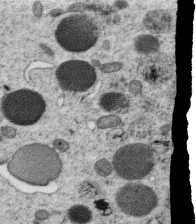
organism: C. elegans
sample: C. elegans oocyte; sperm cells